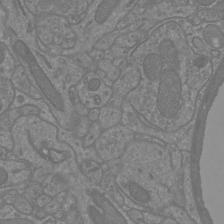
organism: Mouse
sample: Cortical neurons